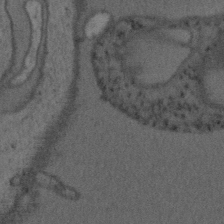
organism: Human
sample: HeLa cells